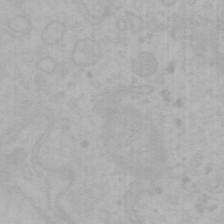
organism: Mouse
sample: Choroid plexus